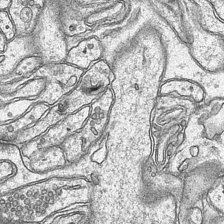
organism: Mouse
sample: CA1 Hippocampus